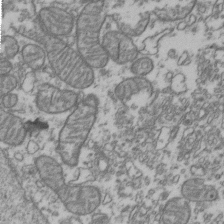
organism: Human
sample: Activated Jurkat CD4+ T cells